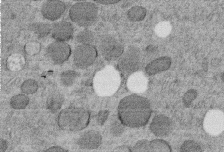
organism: C. elegans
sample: C. elegans embryo early stage